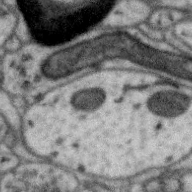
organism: Zebra finch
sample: Brain